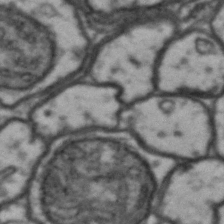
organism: Drosophila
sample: Brain